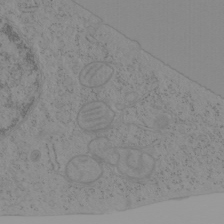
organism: Human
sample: HeLa cells